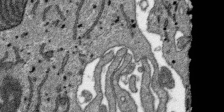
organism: Human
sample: Lung epithelial cells, uninfected (mock) control